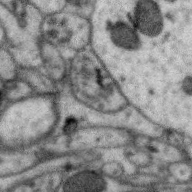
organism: Zebra finch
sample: Brain